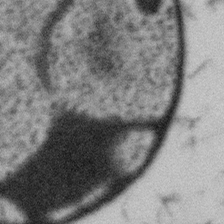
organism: Gemmata obscuriglobus